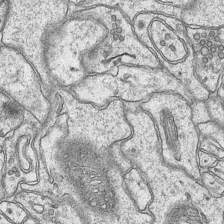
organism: Mouse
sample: CA1 Hippocampus